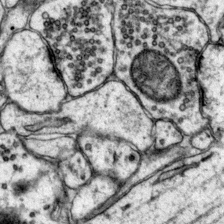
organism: Mouse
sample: Primary visual cortex